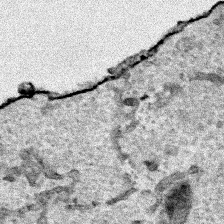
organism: Human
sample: Mitochondria in HCT116 cells